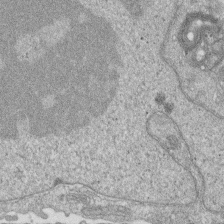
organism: Human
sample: HeLa cell HIV synapse